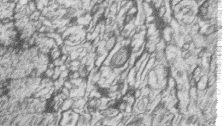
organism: Zebrafish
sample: synaptic ribbons in rod cells and cone cells